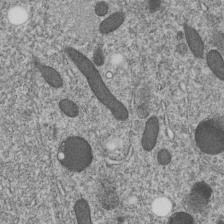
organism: C. elegans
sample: C. elegans embryo early stage